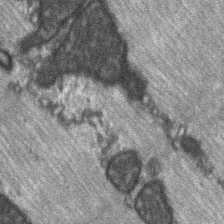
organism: C57BL Mouse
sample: Soleus